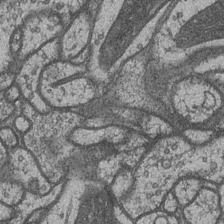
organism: Drosophila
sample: Optic medulla